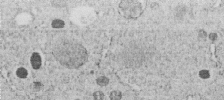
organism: C. elegans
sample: C. elegans embryo early stage